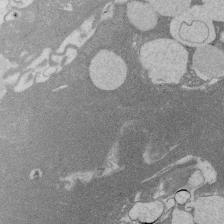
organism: Rat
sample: Salivary granule